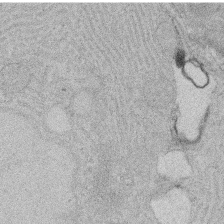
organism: Rat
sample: Salivary granule